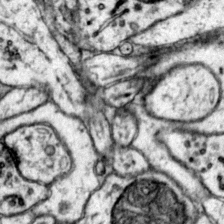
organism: Mouse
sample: Primary visual cortex